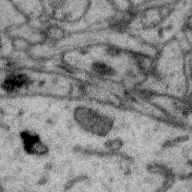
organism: Zebra finch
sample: Brain